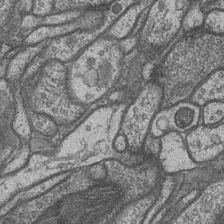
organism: Drosophila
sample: Optic medulla